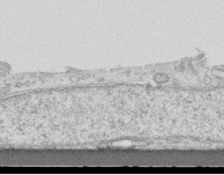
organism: Mouse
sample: Centriole in ependymal cells